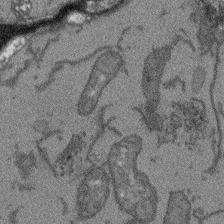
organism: Arabidopsis thaliana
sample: Root tip